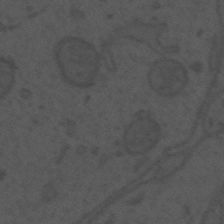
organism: Mouse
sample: Suprachiasmatic nucleus